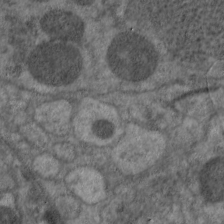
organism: C. elegans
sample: Pharynx